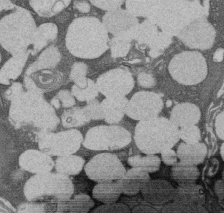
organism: Rat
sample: Salivary granule